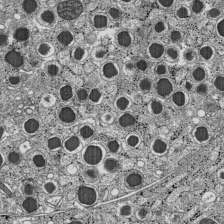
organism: C57BL Mouse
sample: Pancreatic islet